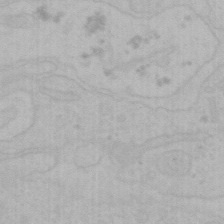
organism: Mouse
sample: Choroid plexus